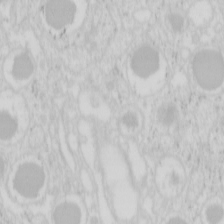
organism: Mouse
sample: Pancreas